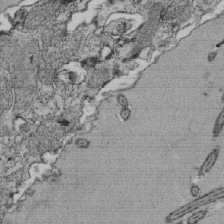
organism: Tetrahymena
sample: Cilia in tetrahymena